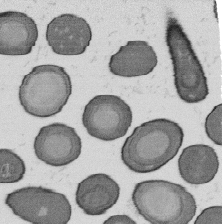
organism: B. subtilis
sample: Bacterial spore